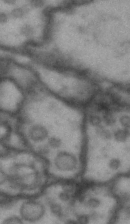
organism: Drosophila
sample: Brain